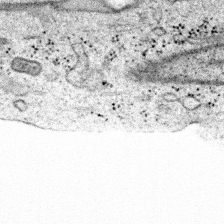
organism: Human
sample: HeLa cells